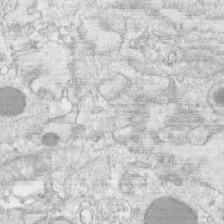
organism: Human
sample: CRL-1474